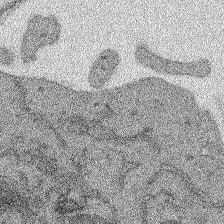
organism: Human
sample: HeLa cells